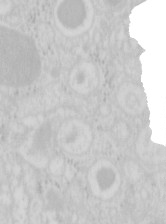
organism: Mouse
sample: Pancreas